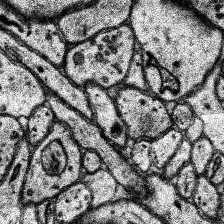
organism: Human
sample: Temporal Lobe